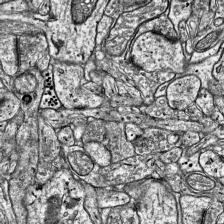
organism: Mouse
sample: Visual Cortex